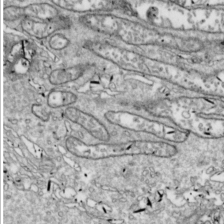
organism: Drosophila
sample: Cell division; meiosis; drosophila spermatocytes